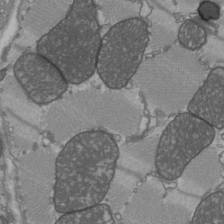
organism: C57BL Mouse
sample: Heart